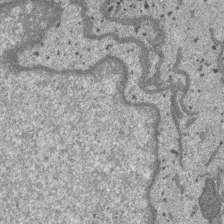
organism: Human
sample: Lung epithelial cells infected with SARS-CoV-2